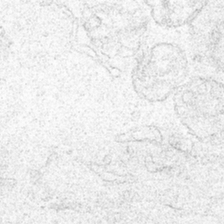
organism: Human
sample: Mitochondria in HCT116 cells